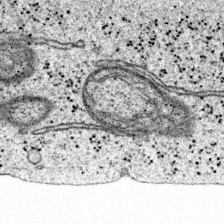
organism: Human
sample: HeLa cells